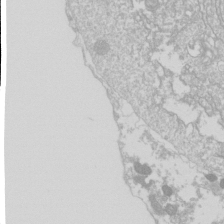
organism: Drosophila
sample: Cell division; meiosis; drosophila spermatocytes